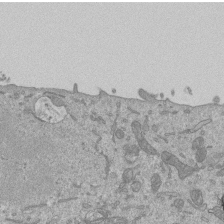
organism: Mouse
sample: ED-1 cell nuclei; centrioles